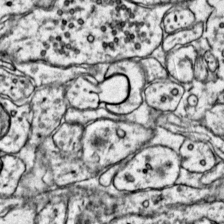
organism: Mouse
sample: Primary visual cortex